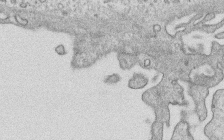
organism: Human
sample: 1205lu cells